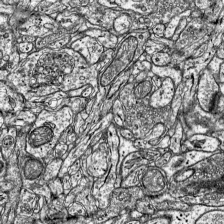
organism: Mouse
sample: Visual Cortex